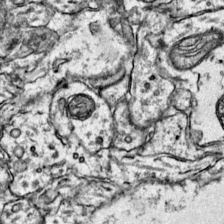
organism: Mouse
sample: Primary visual cortex